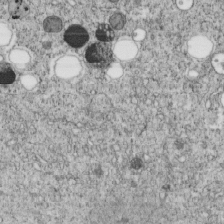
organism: C. elegans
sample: C. elegans embryo early stage